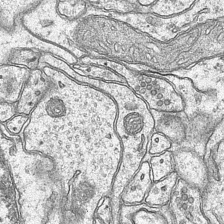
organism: Mouse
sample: CA1 Hippocampus